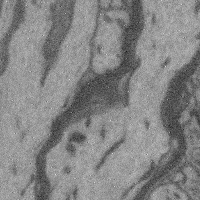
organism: Mouse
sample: Cerebral cortex